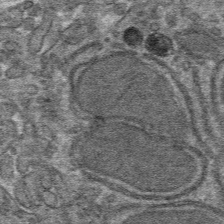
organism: Mouse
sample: Mouse hepatocytes